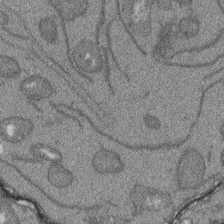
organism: Arabidopsis thaliana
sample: Root tip